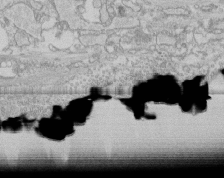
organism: Human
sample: CRL-1474